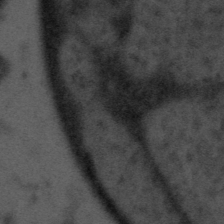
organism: Tuwongella immobilis